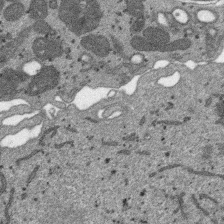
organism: Human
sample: Lung epithelial cells infected with SARS-CoV-2